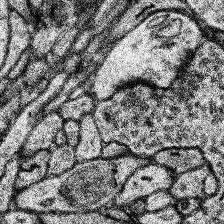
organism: Human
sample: Temporal Lobe